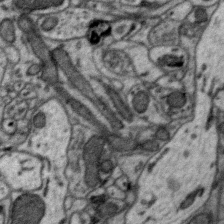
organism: Zebra finch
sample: Brain